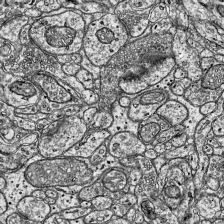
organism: Mouse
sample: Visual Cortex